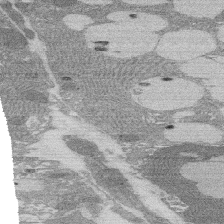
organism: Rat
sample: Salivary granule